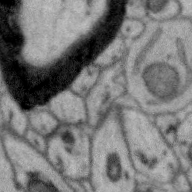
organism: Zebra finch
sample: Brain